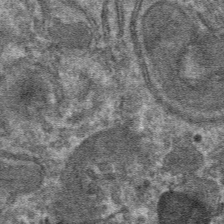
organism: Mouse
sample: Mouse hepatocytes